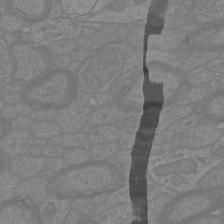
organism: Mouse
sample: Cortical neurons